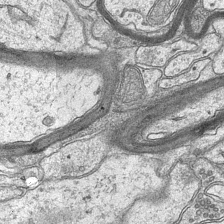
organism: Mouse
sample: CA1 Hippocampus